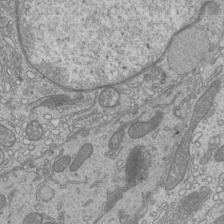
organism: Mouse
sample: Cilia; mouse epididymis